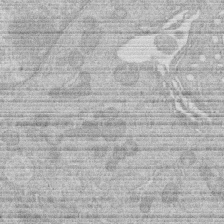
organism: Human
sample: Macrophage cells